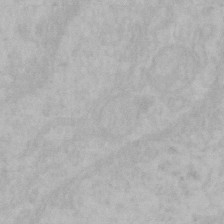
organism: Mouse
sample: Choroid plexus